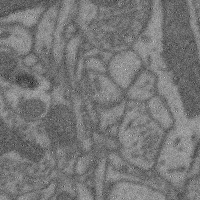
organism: Mouse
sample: Cerebral cortex